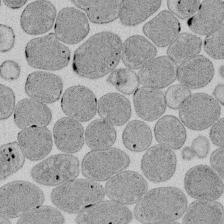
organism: E. coli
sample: Bacterial nucleoid